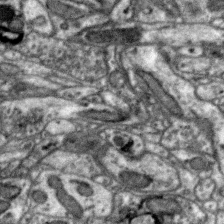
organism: Zebra finch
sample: Brain